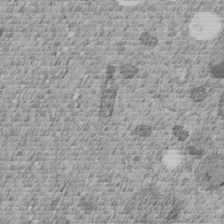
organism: C. elegans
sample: C. elegans embryo early stage